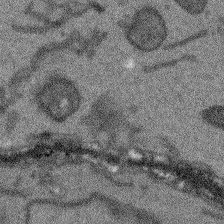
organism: Arabidopsis thaliana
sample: Root tip